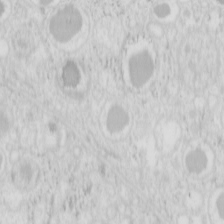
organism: Mouse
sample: Pancreas